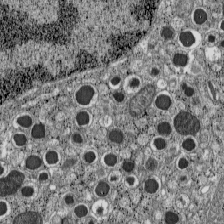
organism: C57BL Mouse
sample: Pancreatic islet